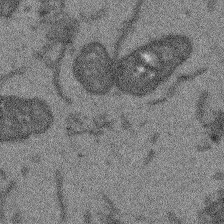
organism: Arabidopsis thaliana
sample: Root tip